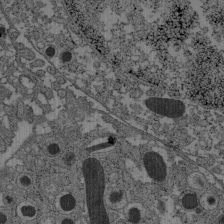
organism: C57BL Mouse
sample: Pancreatic islet